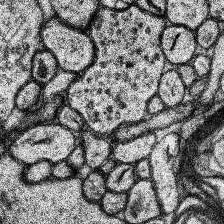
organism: Human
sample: Temporal Lobe